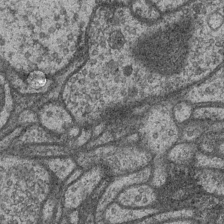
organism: Drosophila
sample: Optic medulla